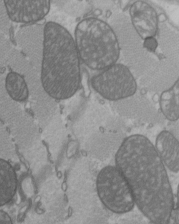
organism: C57BL Mouse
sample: Heart